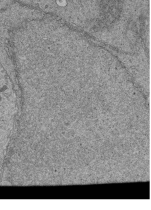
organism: Human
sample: Retinal organoid Rod and Cone cells